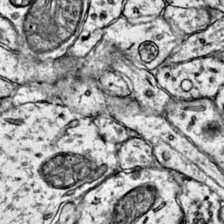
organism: Mouse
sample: Primary visual cortex